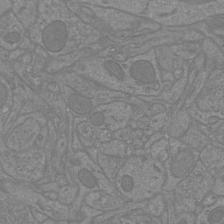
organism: Mouse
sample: Cortical neurons